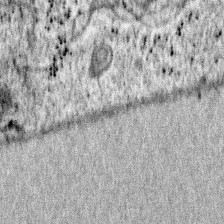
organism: Human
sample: HeLa cells